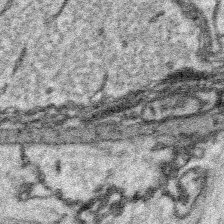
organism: Platynereis dumerilii